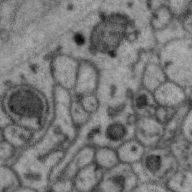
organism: Zebra finch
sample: Brain